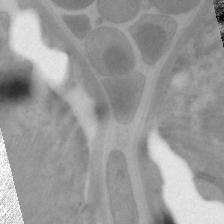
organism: C. elegans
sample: Pharynx